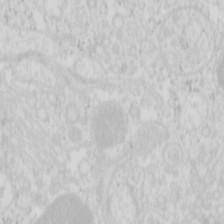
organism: Mouse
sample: Pancreas